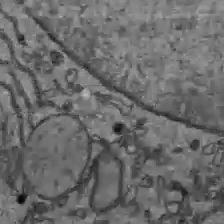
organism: C57BL Mouse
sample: Liver